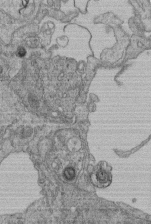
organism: Human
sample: Retinal organoid Rod and Cone cells